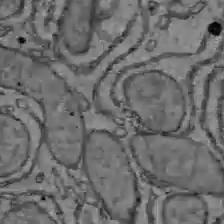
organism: C57BL Mouse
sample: Liver